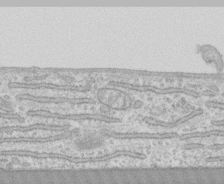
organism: Human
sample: CRL-1474